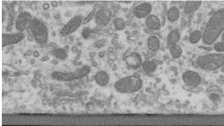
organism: Human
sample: Centriole in RPE cells